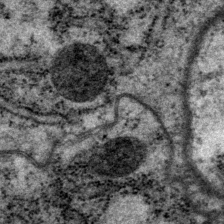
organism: P. pacificus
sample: Pharynx